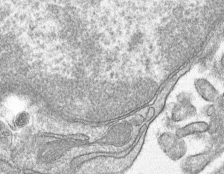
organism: Mouse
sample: Mouse hepatocytes